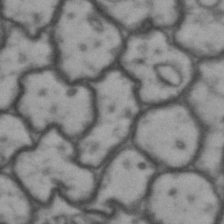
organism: Drosophila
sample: Brain